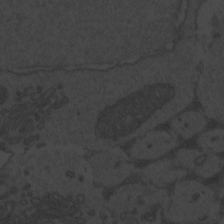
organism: Zebrafish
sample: Macrophage infected with Toxoplasma gondii